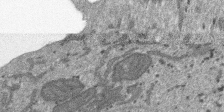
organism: Human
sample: Lung epithelial cells infected with SARS-CoV-2